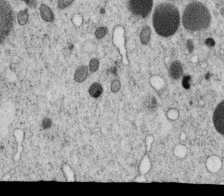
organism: C. elegans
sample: C. elegans oocyte; sperm cells